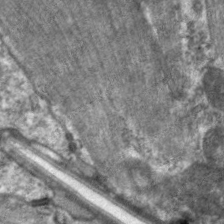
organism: C. elegans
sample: Pharynx